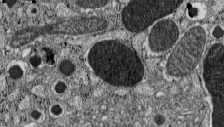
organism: C57BL Mouse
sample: Pancreatic islet